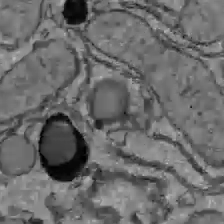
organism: C57BL Mouse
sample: Liver